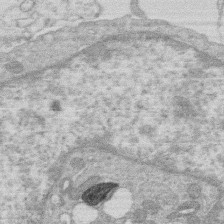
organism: Human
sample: Macrophage cells